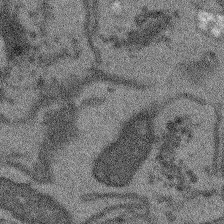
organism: Arabidopsis thaliana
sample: Root tip